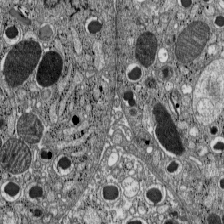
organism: C57BL Mouse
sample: Pancreatic islet